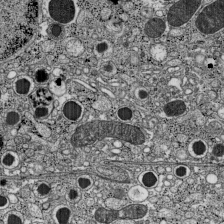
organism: C57BL Mouse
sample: Pancreatic islet